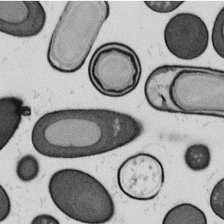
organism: B. subtilis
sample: Bacterial spore